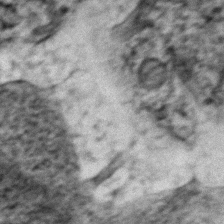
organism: Zebrafish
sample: Zebrafish embryo